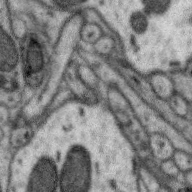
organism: Zebra finch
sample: Brain